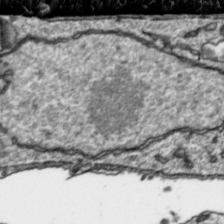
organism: Toxoplasma gondii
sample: Parasites in a vacuole inside a host cell